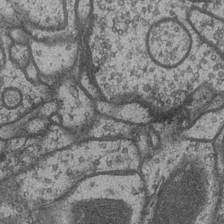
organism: Drosophila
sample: Optic medulla